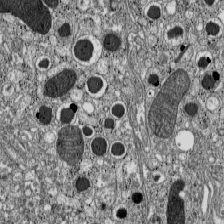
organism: C57BL Mouse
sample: Pancreatic islet